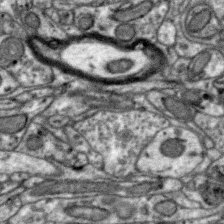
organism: Zebra finch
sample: Brain